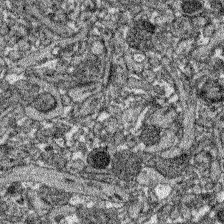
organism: Zebrafish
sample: Larval olfactory bulb